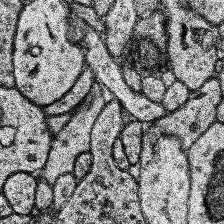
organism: Human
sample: Temporal Lobe